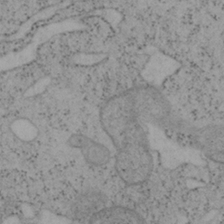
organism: Mouse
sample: OT-I killer T cells with ID8 ovarian cancer cells